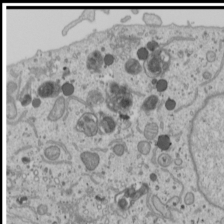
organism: Human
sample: Mitochondria in U2OS cells